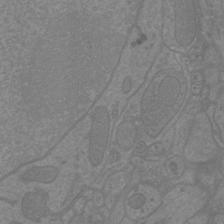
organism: Mouse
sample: Cortical neurons